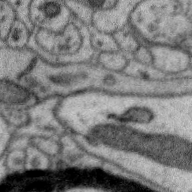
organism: Zebra finch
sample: Brain